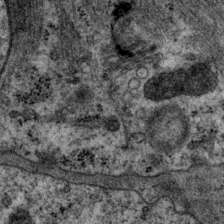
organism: P. pacificus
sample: Pharynx